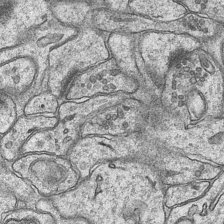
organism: Mouse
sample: CA1 Hippocampus